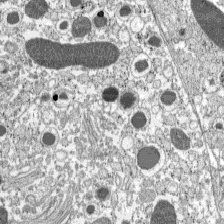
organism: C57BL Mouse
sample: Pancreatic islet